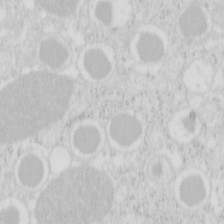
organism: Mouse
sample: Pancreas